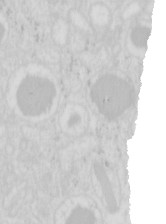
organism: Mouse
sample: Pancreas